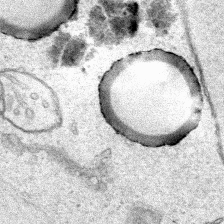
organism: Human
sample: Mitochondria in HCT116 cells